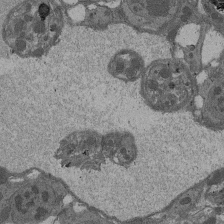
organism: Drosophila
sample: Antenna